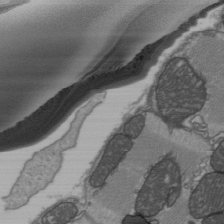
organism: C57BL Mouse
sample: Heart